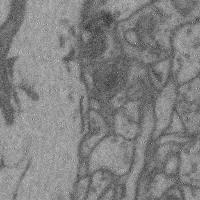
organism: Mouse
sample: Cerebral cortex